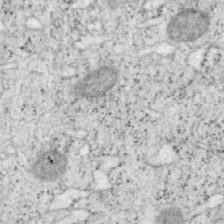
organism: Mouse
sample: OT-I killer T cells with ID8 ovarian cancer cells